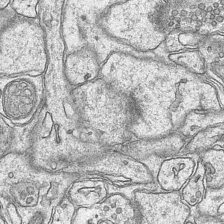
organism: Mouse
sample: CA1 Hippocampus